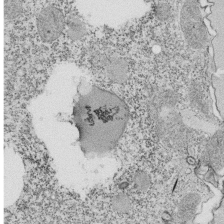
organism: Tetrahymena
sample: Cilia in tetrahymena